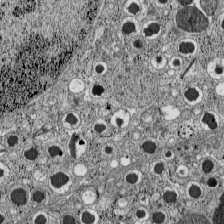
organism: C57BL Mouse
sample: Pancreatic islet